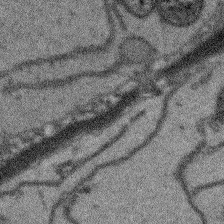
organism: Arabidopsis thaliana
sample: Root tip